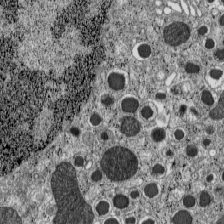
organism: C57BL Mouse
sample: Pancreatic islet